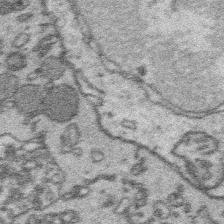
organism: Platynereis dumerilii